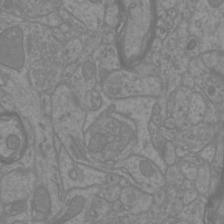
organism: Mouse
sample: Cortical neurons